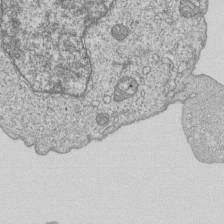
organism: Human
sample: MDA-MB-231 cells